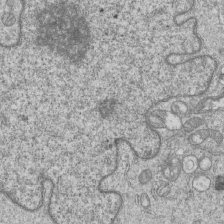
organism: Human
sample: MDA-MB-231 cells